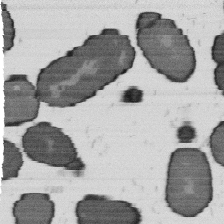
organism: B. subtilis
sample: Bacterial spore